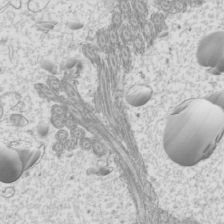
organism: Mouse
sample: Cilia; mouse epididymis